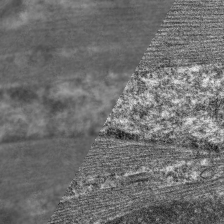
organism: C. elegans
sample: Pharynx